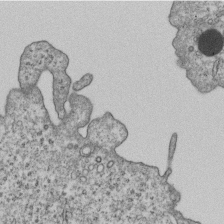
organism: Human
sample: MDA-MB-231 cells